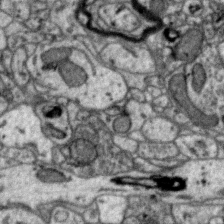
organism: Zebra finch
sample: Brain